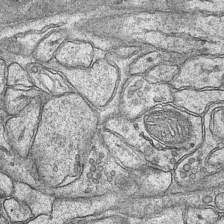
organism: Mouse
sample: CA1 Hippocampus